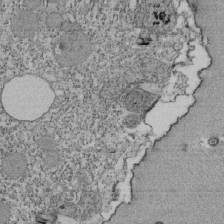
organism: Tetrahymena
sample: Cilia in tetrahymena